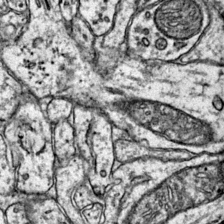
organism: Mouse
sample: Primary visual cortex